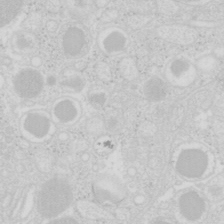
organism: Mouse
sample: Pancreas